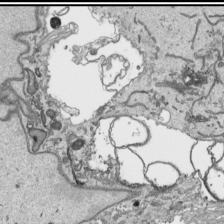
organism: Human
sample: Mitochondria in HCT116 cells